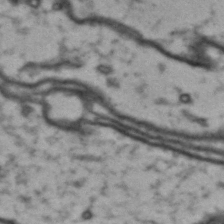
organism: Drosophila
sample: Brain